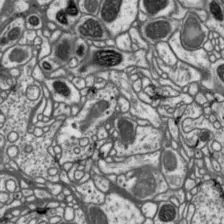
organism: Drosophila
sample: Protocerebral bridge